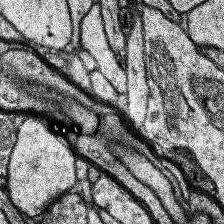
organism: Human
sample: Temporal Lobe